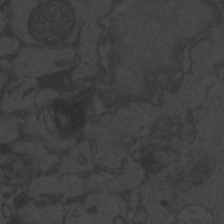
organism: Zebrafish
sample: Macrophage infected with Toxoplasma gondii